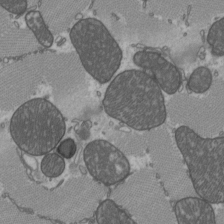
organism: C57BL Mouse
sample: Heart